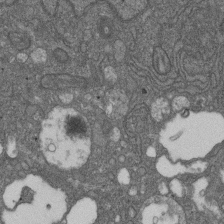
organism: Drosophila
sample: Nephrocyte